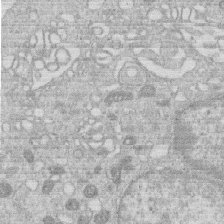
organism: Human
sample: Macrophage cells